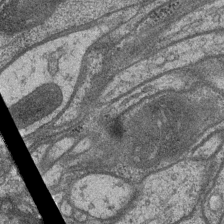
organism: Drosophila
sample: Optic medulla